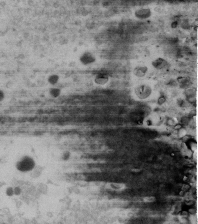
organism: Human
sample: U2-OS cells